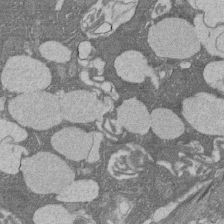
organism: Rat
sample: Salivary granule